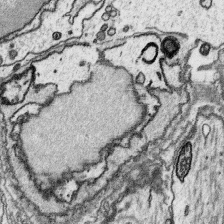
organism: Platynereis dumerilii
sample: Parapodia